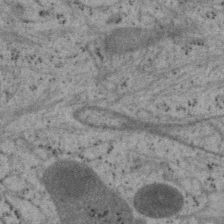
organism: Human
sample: HeLa cells